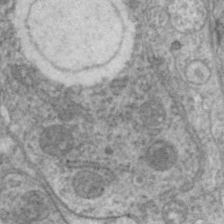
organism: C. elegans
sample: Pharynx